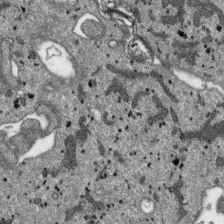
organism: Human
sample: Lung epithelial cells, uninfected (mock) control